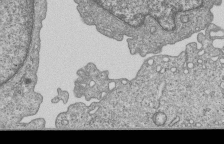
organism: Human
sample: MDA-MB-231 cells